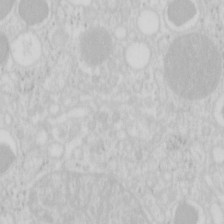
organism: Mouse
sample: Pancreas